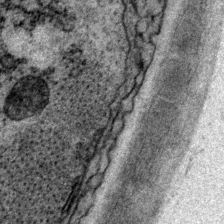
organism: P. pacificus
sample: Pharynx